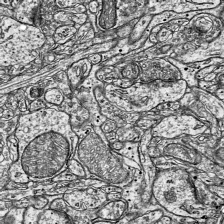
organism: Mouse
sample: Visual Cortex